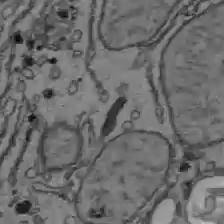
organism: C57BL Mouse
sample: Liver